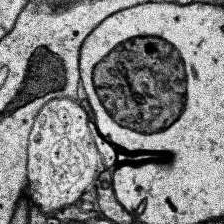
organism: Human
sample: Temporal Lobe